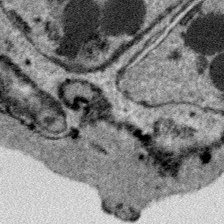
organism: Plasmodium falciparum